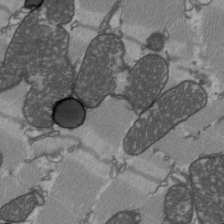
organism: C57BL Mouse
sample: Heart